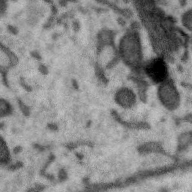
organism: Zebra finch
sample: Brain